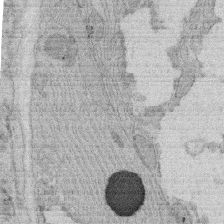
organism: Rat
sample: Salivary granule